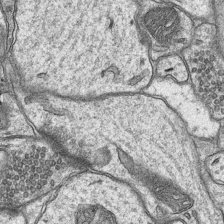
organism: Mouse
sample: CA1 Hippocampus